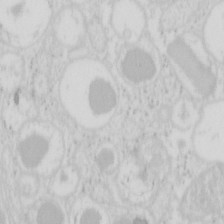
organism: Mouse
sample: Pancreas